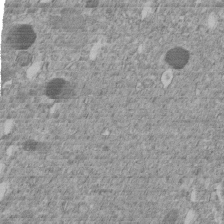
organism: C. elegans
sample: C. elegans embryo early stage